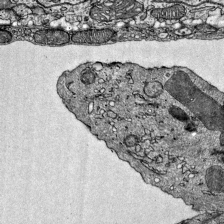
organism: Mouse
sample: Visual Cortex